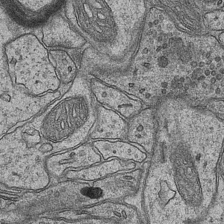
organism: Mouse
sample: CA1 Hippocampus